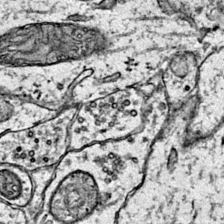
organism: Mouse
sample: Primary visual cortex